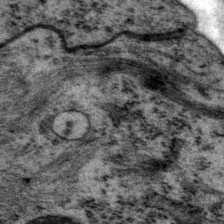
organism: P. pacificus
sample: Pharynx